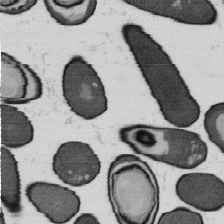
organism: B. subtilis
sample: Bacterial spore